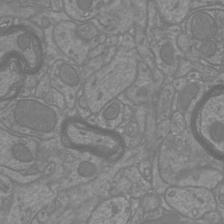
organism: Mouse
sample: Cortical neurons